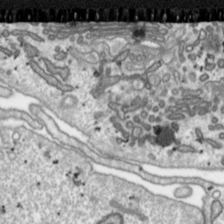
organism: Toxoplasma gondii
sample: Parasites in a vacuole inside a host cell